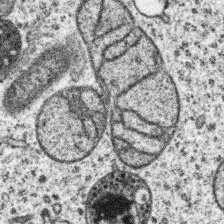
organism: Human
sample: HeLa cells